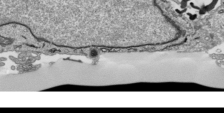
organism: Human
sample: Mitochondria in HCT116 cells